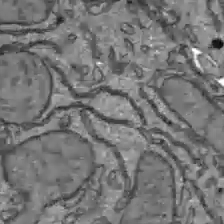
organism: C57BL Mouse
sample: Liver